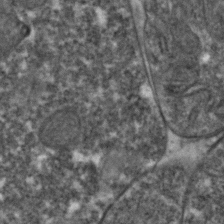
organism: Zebrafish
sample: Zebrafish embryo